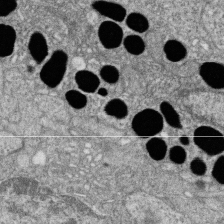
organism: Zebrafish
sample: Cilia; retinal pigment epithelium